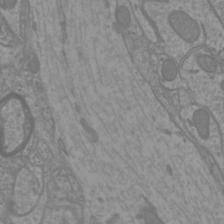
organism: Mouse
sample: Cortical neurons